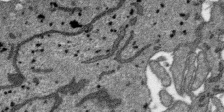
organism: Human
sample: Lung epithelial cells, uninfected (mock) control